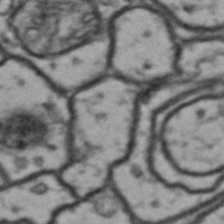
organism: Drosophila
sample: Brain